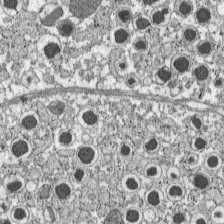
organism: C57BL Mouse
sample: Pancreatic islet